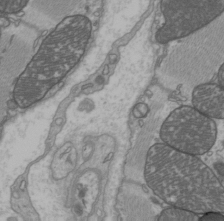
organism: C57BL Mouse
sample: Heart